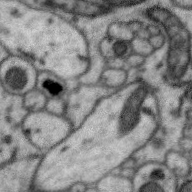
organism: Zebra finch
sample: Brain